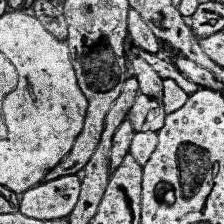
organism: Human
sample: Temporal Lobe